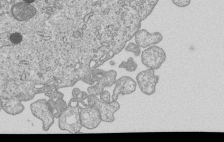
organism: Human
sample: MDA-MB-231 cells